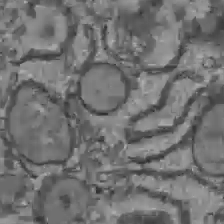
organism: C57BL Mouse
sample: Liver